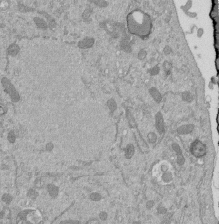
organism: Mouse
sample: ED-1 cell nuclei; centrioles